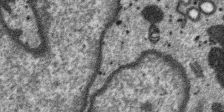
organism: Human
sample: Lung epithelial cells infected with SARS-CoV-2